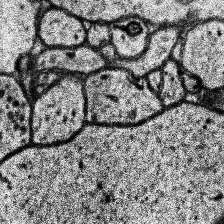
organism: Human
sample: Temporal Lobe